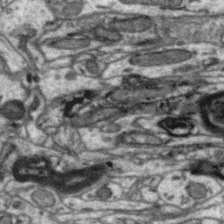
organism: Zebra finch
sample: Brain